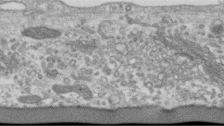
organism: Human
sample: Centriole in RPE cells